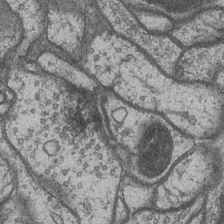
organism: Drosophila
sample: Optic medulla